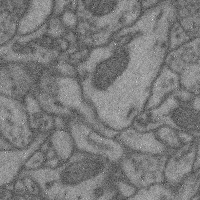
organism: Mouse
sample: Cerebral cortex